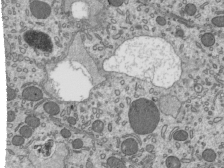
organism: Mouse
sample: Mouse epididymis efferent ductule cilia